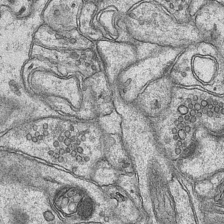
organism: Mouse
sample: CA1 Hippocampus